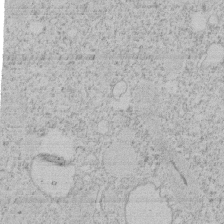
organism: Tetrahymena